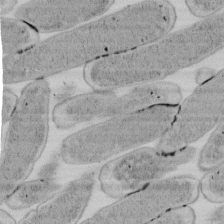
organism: E. coli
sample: Bacterial nucleoid